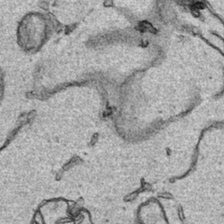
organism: Human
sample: Mitochondria in HCT116 cells